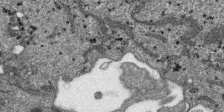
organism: Human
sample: Lung epithelial cells infected with SARS-CoV-2